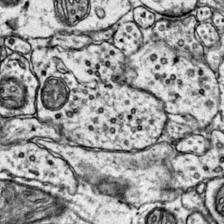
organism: Mouse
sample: Primary visual cortex